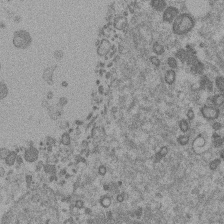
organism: Mouse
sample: Dividing mouse embryo 1 cell stage